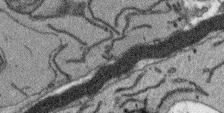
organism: Arabidopsis thaliana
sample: Root tip